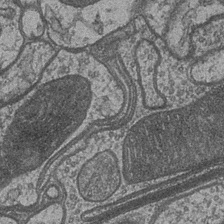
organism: Drosophila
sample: Optic medulla